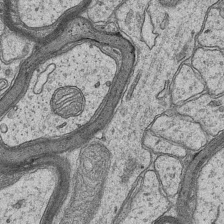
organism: Mouse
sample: CA1 Hippocampus